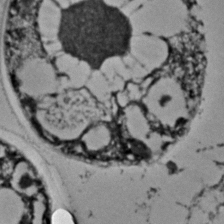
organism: C. elegans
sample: C. elegans embryo